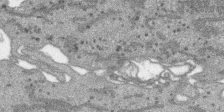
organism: Human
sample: Lung epithelial cells infected with SARS-CoV-2